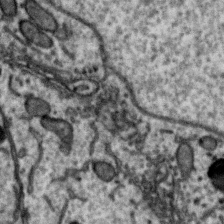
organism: Zebra finch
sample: Brain